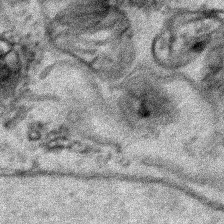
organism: Human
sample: Mitochondria in HCT116 cells